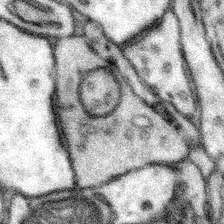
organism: Mouse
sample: Somatosensory cortex neuropil